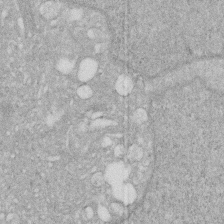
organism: Human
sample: HIV infected U937 cells